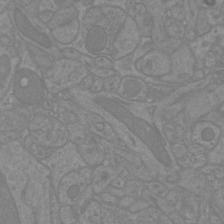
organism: Mouse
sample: Cortical neurons